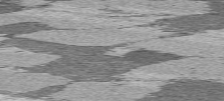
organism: C57BL Mouse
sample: Heart